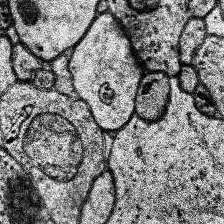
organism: Human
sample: Temporal Lobe